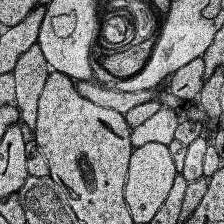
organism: Human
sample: Temporal Lobe